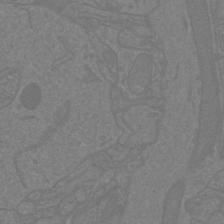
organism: Mouse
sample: Cortical neurons